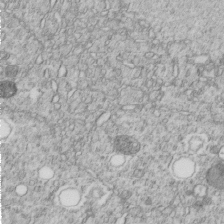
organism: C. elegans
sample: C. elegans embryo early stage